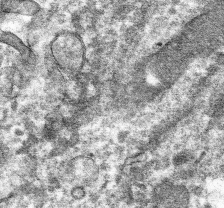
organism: Mouse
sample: Mouse hepatocytes